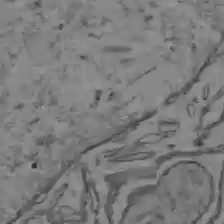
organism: C57BL Mouse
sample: Liver